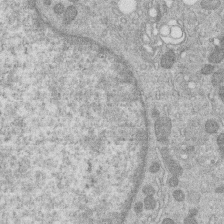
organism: Human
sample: Macrophage cells